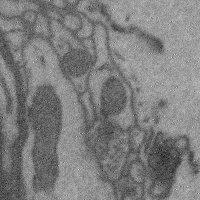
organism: Mouse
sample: Cerebral cortex